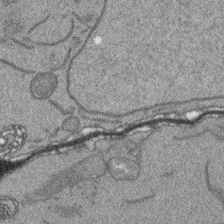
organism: Arabidopsis thaliana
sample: Root tip